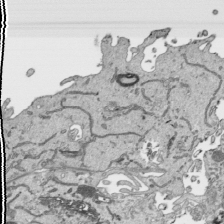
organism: Human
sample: Mitochondria in HCT116 cells